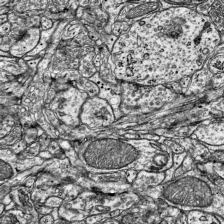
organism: Mouse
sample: Visual Cortex